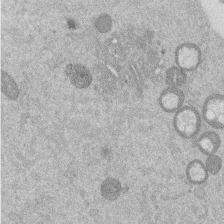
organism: Mouse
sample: Dividing mouse embryo 1 cell stage